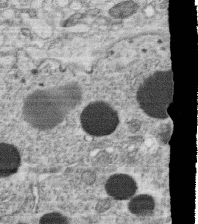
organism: C. elegans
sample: C. elegans oocyte; sperm cells